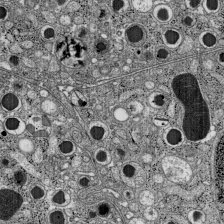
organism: C57BL Mouse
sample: Pancreatic islet